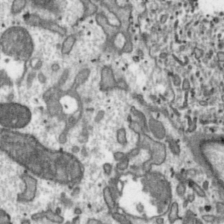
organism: Toxoplasma gondii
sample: Parasites in a vacuole inside a host cell